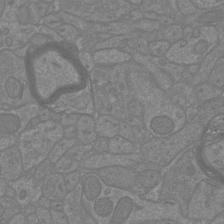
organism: Mouse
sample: Cortical neurons